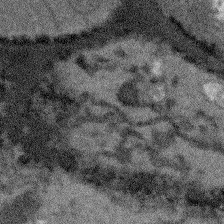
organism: Arabidopsis thaliana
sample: Root tip